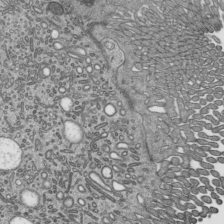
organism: Mouse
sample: Mouse epididymis efferent ductule cilia